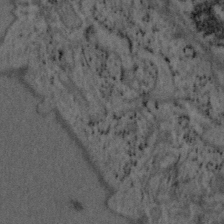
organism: Human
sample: HeLa cells